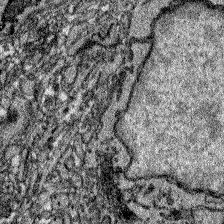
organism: Zebrafish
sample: Larval olfactory bulb